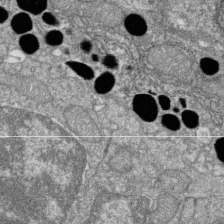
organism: Zebrafish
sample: Cilia; retinal pigment epithelium